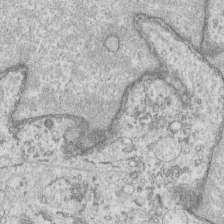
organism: Human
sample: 1205lu cells